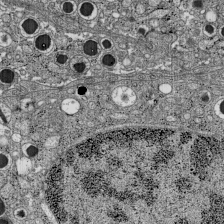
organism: C57BL Mouse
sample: Pancreatic islet